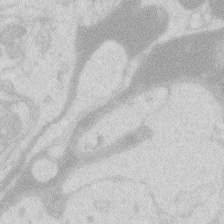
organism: Zebrafish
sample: Macrophage